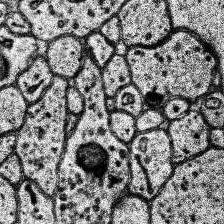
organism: Human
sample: Temporal Lobe